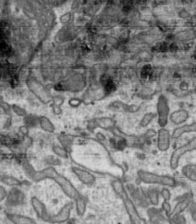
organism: Toxoplasma gondii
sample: Parasites in a vacuole inside a host cell